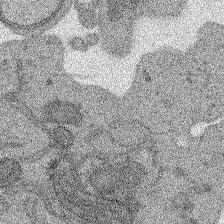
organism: Human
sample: HeLa cells